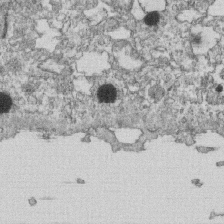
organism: Human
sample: HeLa cell HIV synapse